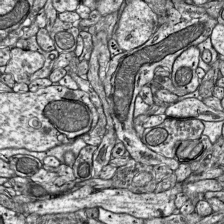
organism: Mouse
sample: Visual Cortex